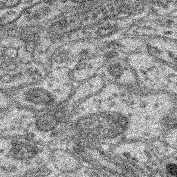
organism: Mouse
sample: Retina